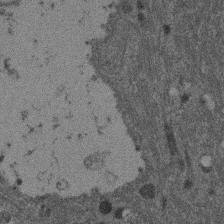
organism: Mouse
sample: Dividing mouse embryo 1 cell stage